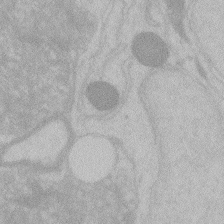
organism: Zebrafish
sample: Macrophage infected with Toxoplasma gondii